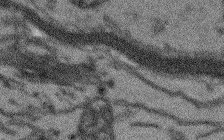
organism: Arabidopsis thaliana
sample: Root tip